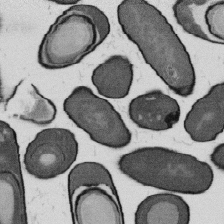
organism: B. subtilis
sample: Bacterial spore